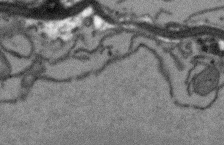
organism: Arabidopsis thaliana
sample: Root tip